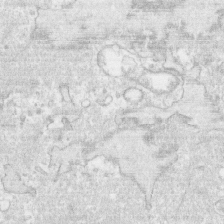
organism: Human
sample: CRL-1474